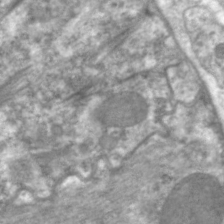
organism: C. elegans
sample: Pharynx